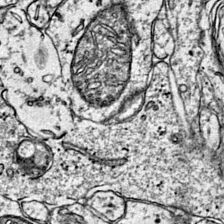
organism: Mouse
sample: Primary visual cortex